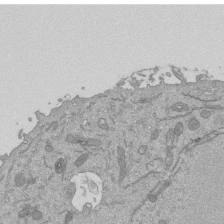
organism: Mouse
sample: ED-1 cell nuclei; centrioles